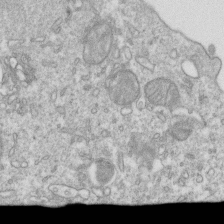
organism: Mouse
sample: Activated OT-1 CD8+ T cells